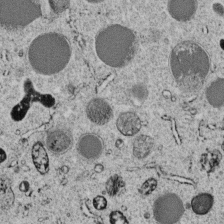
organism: C. elegans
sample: C. elegans embryo early stage